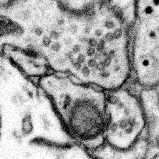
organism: Mouse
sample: Somatosensory cortex neuropil